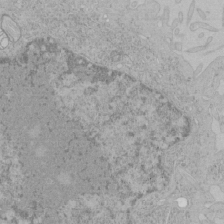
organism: Human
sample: Mitochondria in HCT116 cells